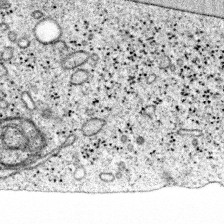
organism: Human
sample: HeLa cells